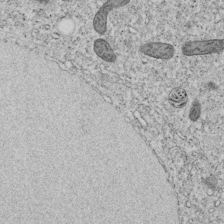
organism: C. elegans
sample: C. elegans embryo early stage